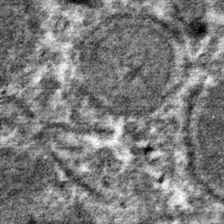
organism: Mouse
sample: Mouse hepatocytes